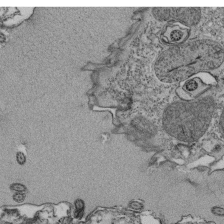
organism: Tetrahymena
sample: Cilia in tetrahymena